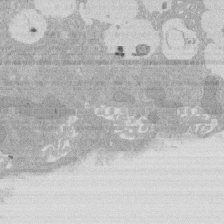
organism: Rat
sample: Salivary granule